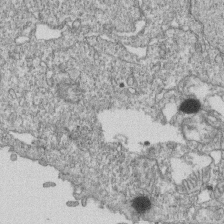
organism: Human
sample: HeLa cell HIV synapse